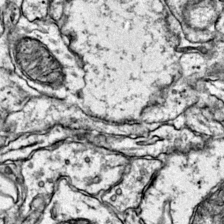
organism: Mouse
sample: Primary visual cortex